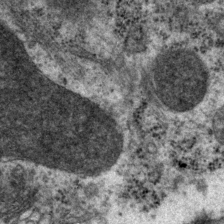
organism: P. pacificus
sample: Pharynx